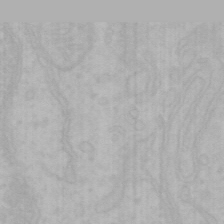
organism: Mouse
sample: Choroid plexus